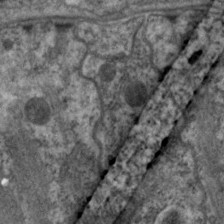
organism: C. elegans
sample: Pharynx